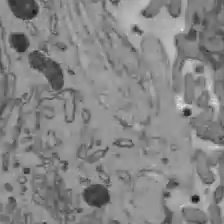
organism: C57BL Mouse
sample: Liver